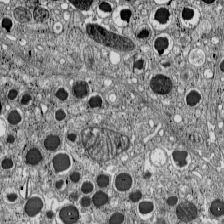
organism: C57BL Mouse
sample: Pancreatic islet